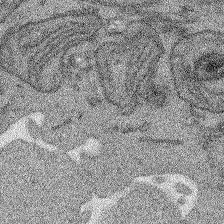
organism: Human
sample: HeLa cells